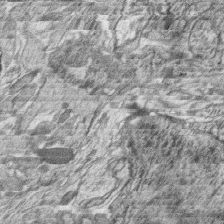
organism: Zebrafish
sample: synaptic ribbons in rod cells and cone cells